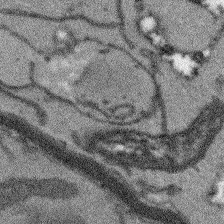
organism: Arabidopsis thaliana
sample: Root tip